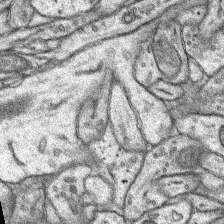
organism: Rat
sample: Hippocampus